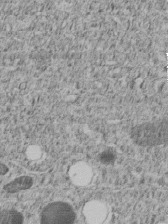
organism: C. elegans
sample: C. elegans embryo early stage